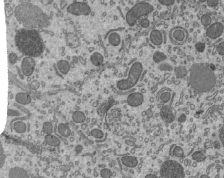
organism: Mouse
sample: Mouse epididymis efferent ductule cilia